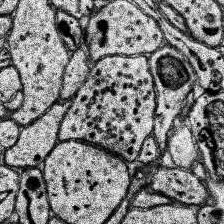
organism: Human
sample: Temporal Lobe